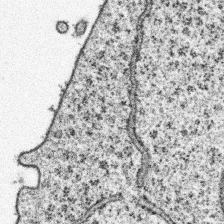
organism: Human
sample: HeLa cells